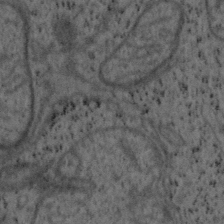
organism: Human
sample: HeLa cells